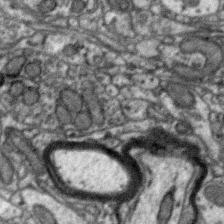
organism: Zebra finch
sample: Brain